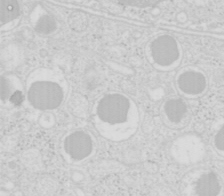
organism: Mouse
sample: Pancreas